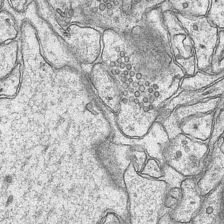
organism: Mouse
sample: CA1 Hippocampus